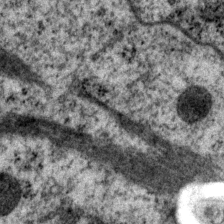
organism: P. pacificus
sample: Pharynx